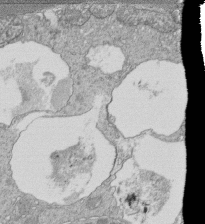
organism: Tetrahymena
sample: Cilia in tetrahymena